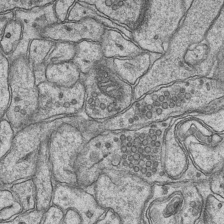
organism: Mouse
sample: CA1 Hippocampus